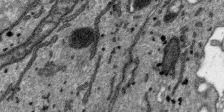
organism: Human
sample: Lung epithelial cells, uninfected (mock) control